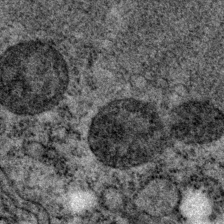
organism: P. pacificus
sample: Pharynx